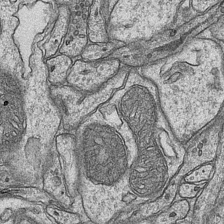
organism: Mouse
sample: CA1 Hippocampus